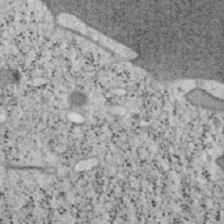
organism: Mouse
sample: OT-I killer T cells with ID8 ovarian cancer cells